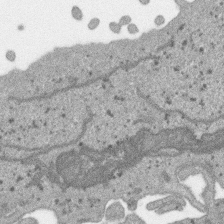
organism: Human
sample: Lung epithelial cells infected with SARS-CoV-2